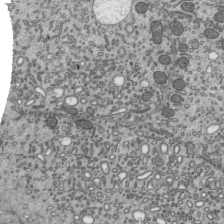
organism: Mouse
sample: Mouse epididymis efferent ductule cilia